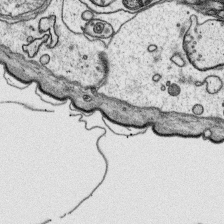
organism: Platynereis dumerilii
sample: Parapodia